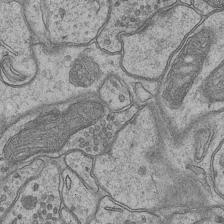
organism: Mouse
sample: CA1 Hippocampus